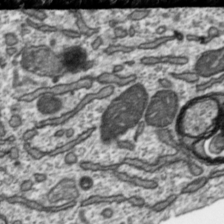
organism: Toxoplasma gondii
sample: Parasites in a vacuole inside a host cell